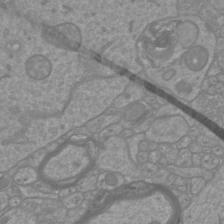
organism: Mouse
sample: Cortical neurons